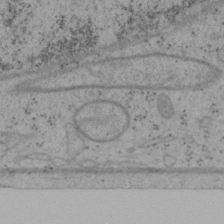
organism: Human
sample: HeLa cells